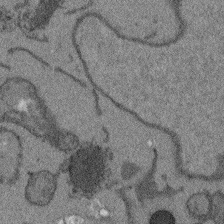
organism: Arabidopsis thaliana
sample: Root tip